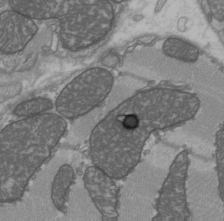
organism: C57BL Mouse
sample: Heart